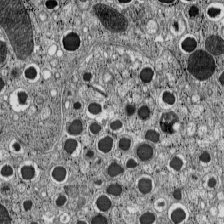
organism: C57BL Mouse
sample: Pancreatic islet